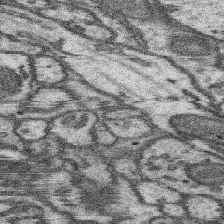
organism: Mouse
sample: Somatosensory cortex neuropil